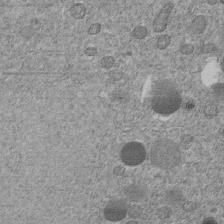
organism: C. elegans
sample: C. elegans embryo early stage